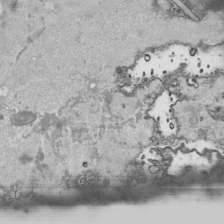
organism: Human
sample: Mitochondria in HCT116 cells